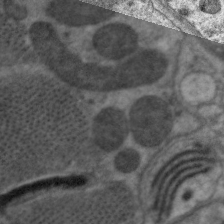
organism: C. elegans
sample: Pharynx